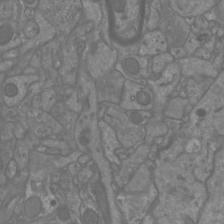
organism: Mouse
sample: Cortical neurons